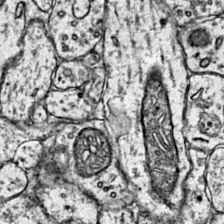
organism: Mouse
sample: Primary visual cortex